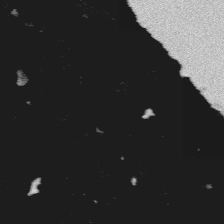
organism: Platynereis dumerilii